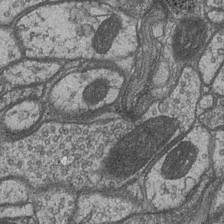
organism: Drosophila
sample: Optic medulla